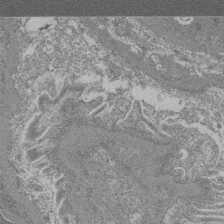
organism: Mouse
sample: Glomerulus